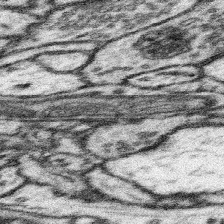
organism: Mouse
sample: Somatosensory cortex neuropil